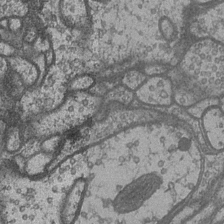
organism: Drosophila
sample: Optic medulla